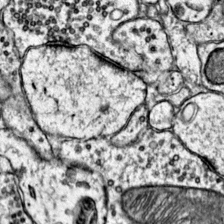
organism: Mouse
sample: Primary visual cortex